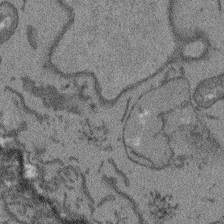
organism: Arabidopsis thaliana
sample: Root tip